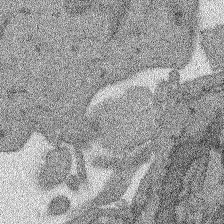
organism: Human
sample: HeLa cells